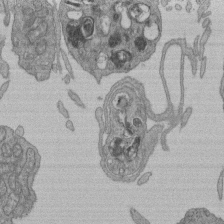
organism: Human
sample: Retinal organoid Rod and Cone cells